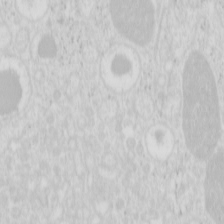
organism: Mouse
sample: Pancreas